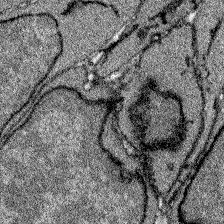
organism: Zebrafish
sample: Larval olfactory bulb